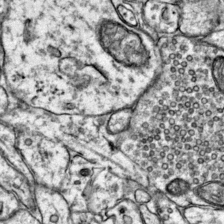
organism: Mouse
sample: Primary visual cortex